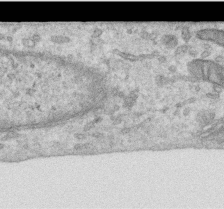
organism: Human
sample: Centriole in RPE cells